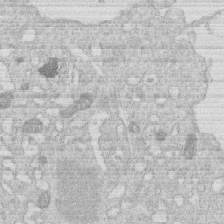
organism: Human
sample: Macrophage cells